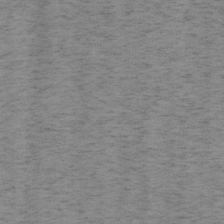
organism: Mouse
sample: OT-I killer T cells with ID8 ovarian cancer cells